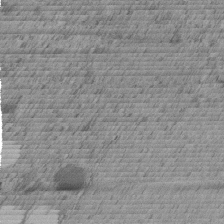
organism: C. elegans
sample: C. elegans embryo early stage